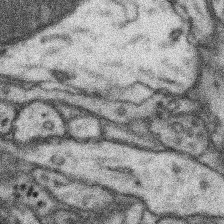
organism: Mouse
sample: Somatosensory cortex neuropil